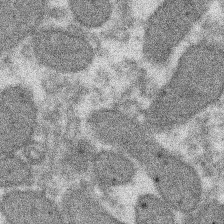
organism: Xenopus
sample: Cilia; centrioles in frog embryo cells